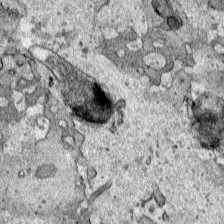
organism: Human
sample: Mitochondria in HCT116 cells